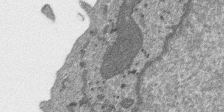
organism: Human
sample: Lung epithelial cells infected with SARS-CoV-2